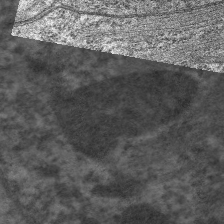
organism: C. elegans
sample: Pharynx